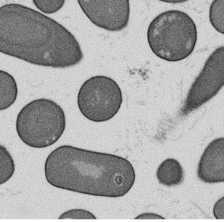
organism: B. subtilis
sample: Bacterial spore